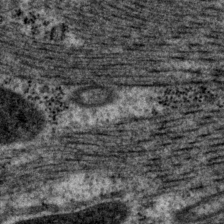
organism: P. pacificus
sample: Pharynx